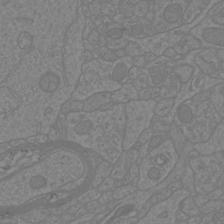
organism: Mouse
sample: Cortical neurons